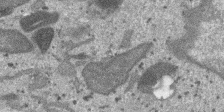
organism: Human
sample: Lung epithelial cells infected with SARS-CoV-2